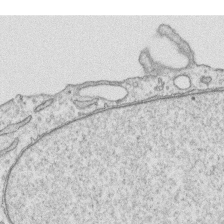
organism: Human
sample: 1205lu cells